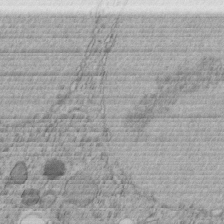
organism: C. elegans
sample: C. elegans embryo early stage